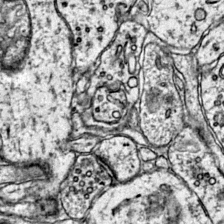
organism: Mouse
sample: Primary visual cortex